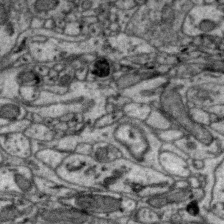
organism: Zebra finch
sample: Brain